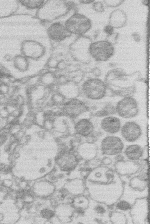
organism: Human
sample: Macrophage cells